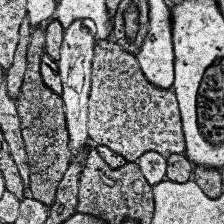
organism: Human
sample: Temporal Lobe